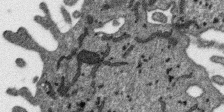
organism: Human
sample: Lung epithelial cells infected with SARS-CoV-2